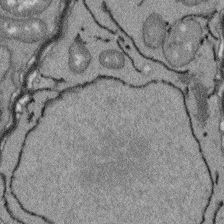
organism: Arabidopsis thaliana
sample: Root tip